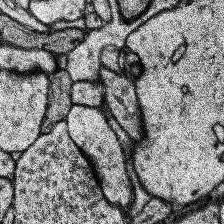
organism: Human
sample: Temporal Lobe